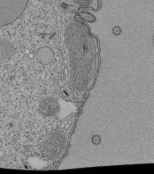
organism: Tetrahymena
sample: Cilia in tetrahymena